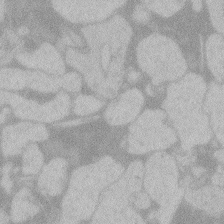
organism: Zebrafish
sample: Macrophage infected with Toxoplasma gondii